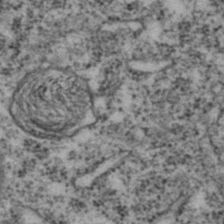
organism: C. elegans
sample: C. elegans embryo